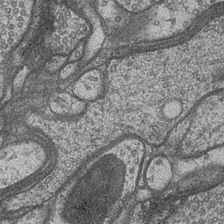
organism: Drosophila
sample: Optic medulla